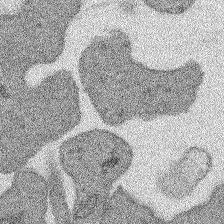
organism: Human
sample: HeLa cells